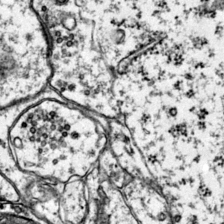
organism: Mouse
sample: Primary visual cortex